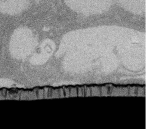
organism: Rat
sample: Salivary granule